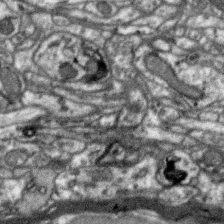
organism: Zebra finch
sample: Brain